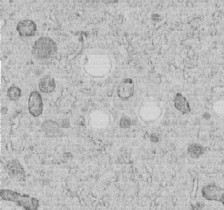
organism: C. elegans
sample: C. elegans embryo early stage